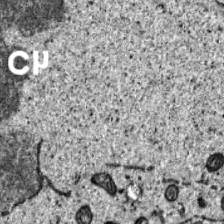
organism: Human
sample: HeLa cells